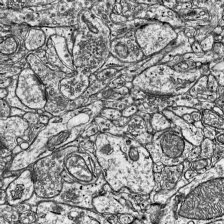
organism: Mouse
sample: Visual Cortex